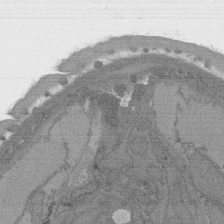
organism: C. elegans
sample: AFD neurons C. elegans